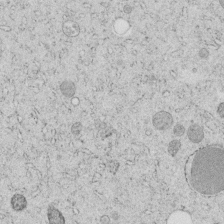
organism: C. elegans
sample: C. elegans embryo early stage